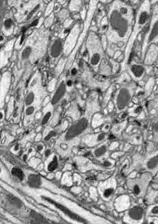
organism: Drosophila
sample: Optic lobe